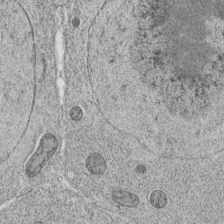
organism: C. elegans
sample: C. elegans oocyte; sperm cells